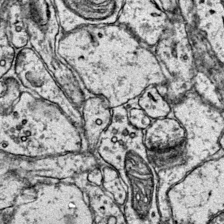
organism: Mouse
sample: Primary visual cortex